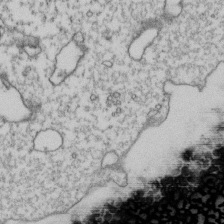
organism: Human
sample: Activated Jurkat CD4+ T cells